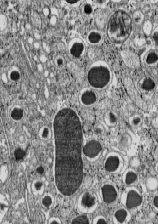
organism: C57BL Mouse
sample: Pancreatic islet